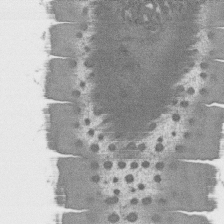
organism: C. elegans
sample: AFD neurons C. elegans